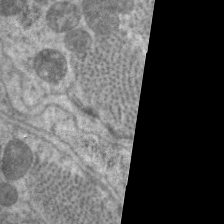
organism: C. elegans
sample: Pharynx